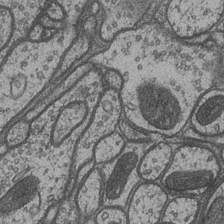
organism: Drosophila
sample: Optic medulla